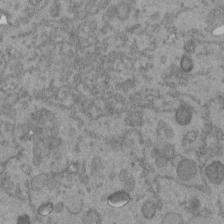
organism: C. elegans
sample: C. elegans embryo early stage